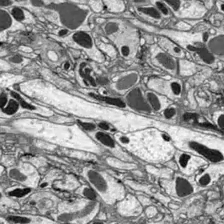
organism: Drosophila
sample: Optic lobe